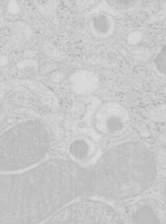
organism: Mouse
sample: Pancreas